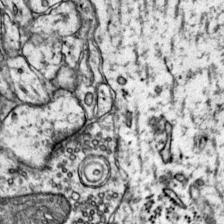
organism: Mouse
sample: Primary visual cortex